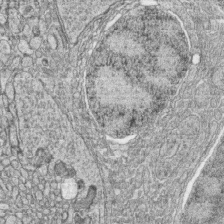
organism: Zebrafish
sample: synaptic ribbons in rod cells and cone cells